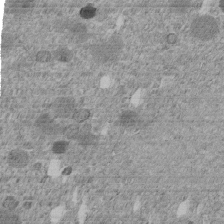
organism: C. elegans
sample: C. elegans embryo early stage